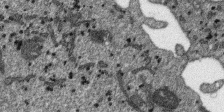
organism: Human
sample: Lung epithelial cells infected with SARS-CoV-2